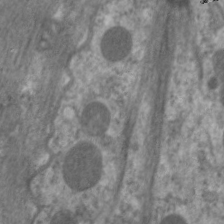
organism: C. elegans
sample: Pharynx